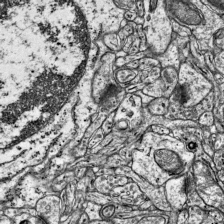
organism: Mouse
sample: Visual Cortex